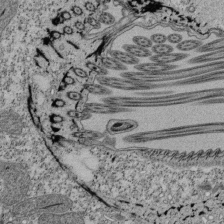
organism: Tetrahymena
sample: Cilia in tetrahymena